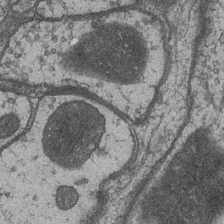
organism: Drosophila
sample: Optic medulla